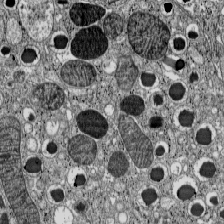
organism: C57BL Mouse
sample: Pancreatic islet